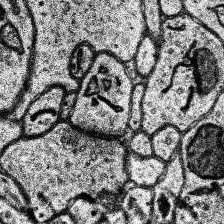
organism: Human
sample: Temporal Lobe